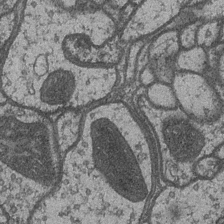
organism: Drosophila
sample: Optic medulla